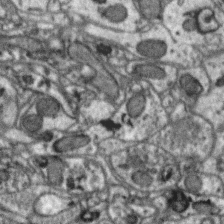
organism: Zebra finch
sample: Brain